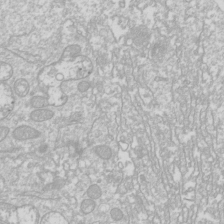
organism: Drosophila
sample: Cell division; meiosis; drosophila spermatocytes